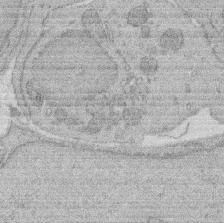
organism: Rat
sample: Salivary granule